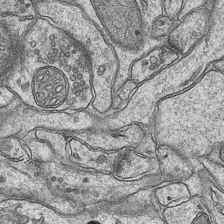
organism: Mouse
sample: CA1 Hippocampus